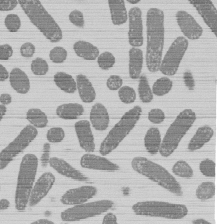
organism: E. coli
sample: Bacterial nucleoid